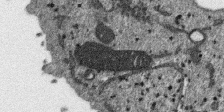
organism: Human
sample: Lung epithelial cells infected with SARS-CoV-2